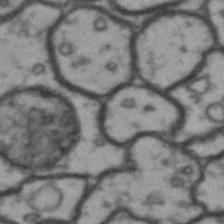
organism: Drosophila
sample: Brain